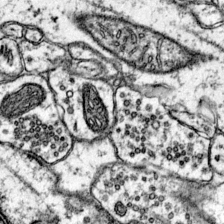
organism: Mouse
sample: Primary visual cortex